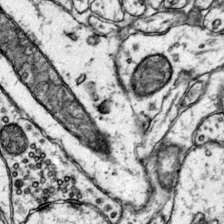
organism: Mouse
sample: Primary visual cortex